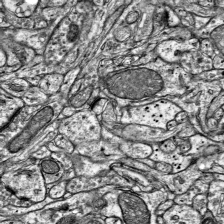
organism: Mouse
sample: Visual Cortex